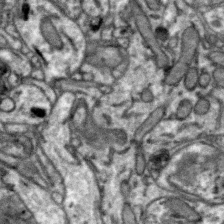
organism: Zebra finch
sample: Brain